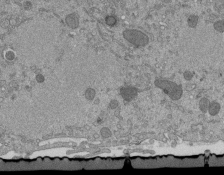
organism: Mouse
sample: ED-1 cell nuclei; centrioles